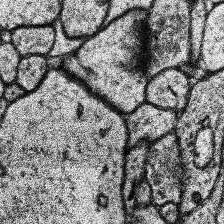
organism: Human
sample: Temporal Lobe